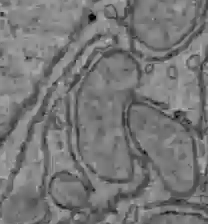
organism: C57BL Mouse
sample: Liver